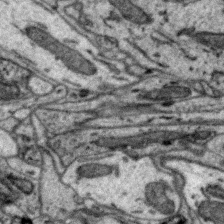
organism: Zebra finch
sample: Brain